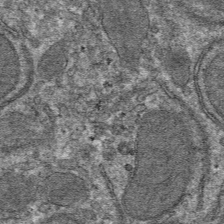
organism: Mouse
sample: Mouse hepatocytes